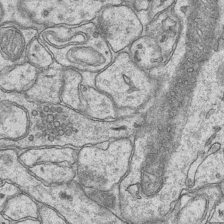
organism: Mouse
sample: CA1 Hippocampus